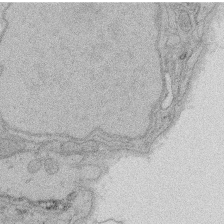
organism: Rat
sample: Salivary granule